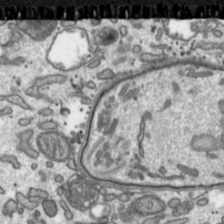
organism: Toxoplasma gondii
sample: Parasites in a vacuole inside a host cell